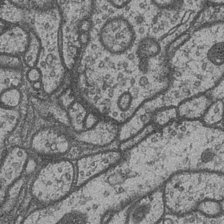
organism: Drosophila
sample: Optic medulla